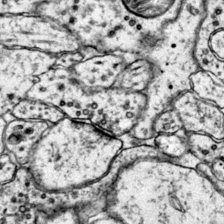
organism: Mouse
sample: Primary visual cortex